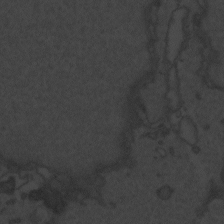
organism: Zebrafish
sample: Macrophage infected with Toxoplasma gondii